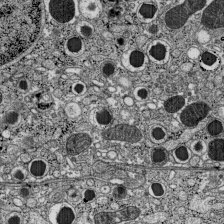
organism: C57BL Mouse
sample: Pancreatic islet